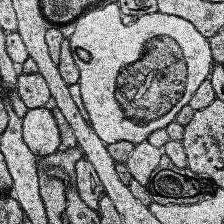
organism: Human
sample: Temporal Lobe